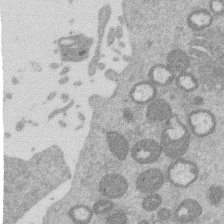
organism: Mouse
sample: Dividing mouse embryo 1 cell stage